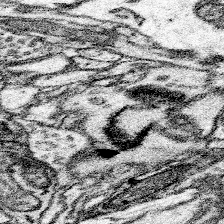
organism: Mouse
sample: Somatosensory cortex neuropil